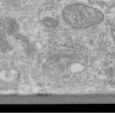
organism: Human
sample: Centriole in RPE cells